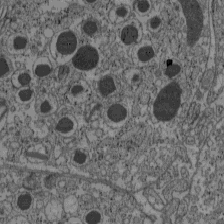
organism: C57BL Mouse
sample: Pancreatic islet